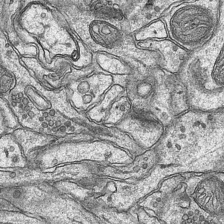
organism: Mouse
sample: CA1 Hippocampus